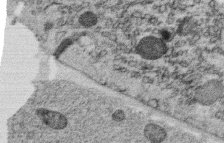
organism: C. elegans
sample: C. elegans oocyte; sperm cells